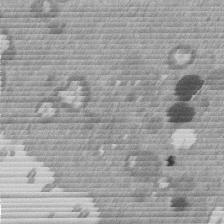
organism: Mouse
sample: Dividing mouse embryo 1 cell stage